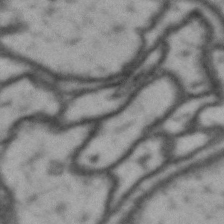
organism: Drosophila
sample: Brain